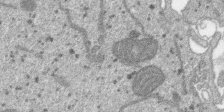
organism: Human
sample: Lung epithelial cells infected with SARS-CoV-2